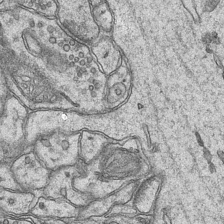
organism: Mouse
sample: CA1 Hippocampus